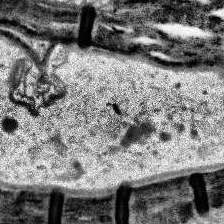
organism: Human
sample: Temporal Lobe